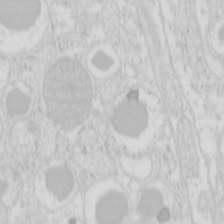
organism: Mouse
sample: Pancreas